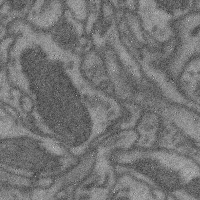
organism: Mouse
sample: Cerebral cortex